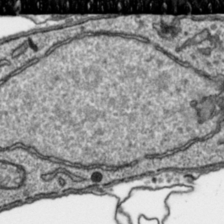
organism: Toxoplasma gondii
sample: Parasites in a vacuole inside a host cell